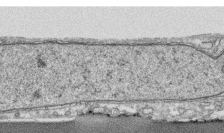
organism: Human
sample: CRL-1474